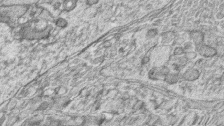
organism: Zebrafish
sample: synaptic ribbons in rod cells and cone cells